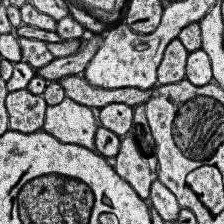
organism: Human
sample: Temporal Lobe